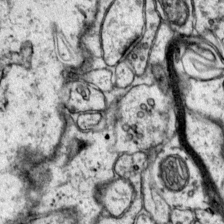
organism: Mouse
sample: Primary visual cortex